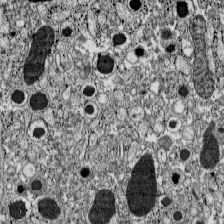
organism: C57BL Mouse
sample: Pancreatic islet